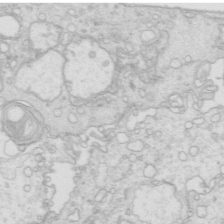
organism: Mouse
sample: Multiciliated cells